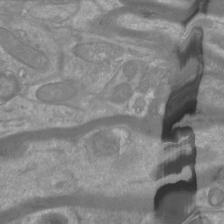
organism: Mouse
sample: Cortical neurons